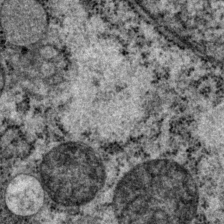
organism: P. pacificus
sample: Pharynx